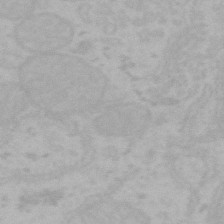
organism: Mouse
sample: Choroid plexus